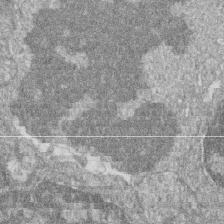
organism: Zebrafish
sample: Cilia; retinal pigment epithelium